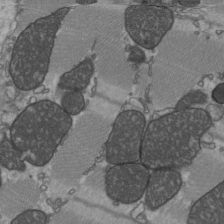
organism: C57BL Mouse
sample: Heart